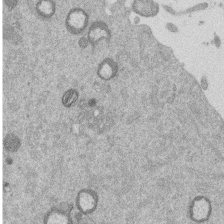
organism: Mouse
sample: Dividing mouse embryo 1 cell stage